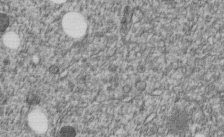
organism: C. elegans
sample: C. elegans embryo early stage